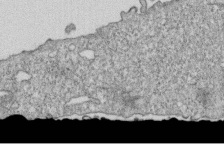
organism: Human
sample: HeLa cell HIV synapse